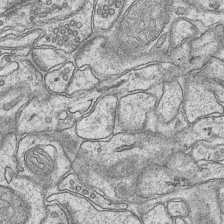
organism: Mouse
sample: CA1 Hippocampus